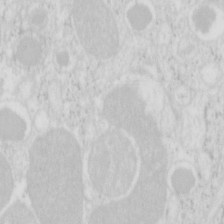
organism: Mouse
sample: Pancreas